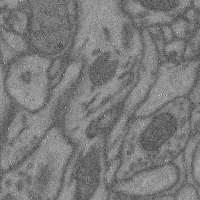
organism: Mouse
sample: Cerebral cortex